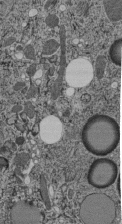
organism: C. elegans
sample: C. elegans pharynx